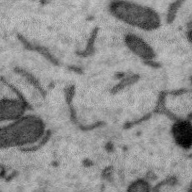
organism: Zebra finch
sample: Brain